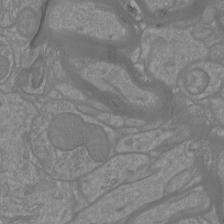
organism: Mouse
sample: Cortical neurons